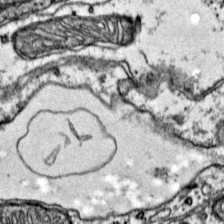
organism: Mouse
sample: Primary visual cortex